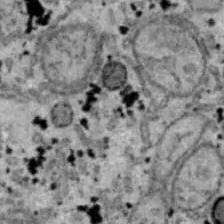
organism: Mouse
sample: Liver from an obese (ob/ob) mouse